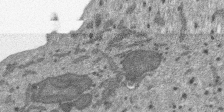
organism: Human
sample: Lung epithelial cells infected with SARS-CoV-2